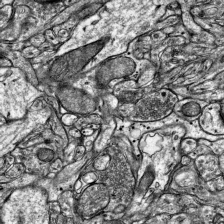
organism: Mouse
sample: Visual Cortex